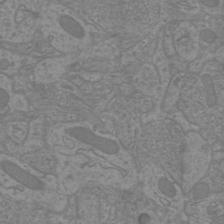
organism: Mouse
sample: Cortical neurons